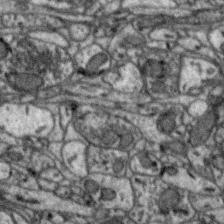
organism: Zebra finch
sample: Brain